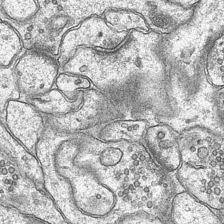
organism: Mouse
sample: CA1 Hippocampus